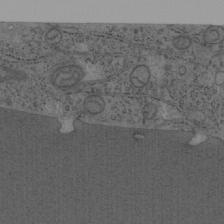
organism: Human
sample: HeLa cells